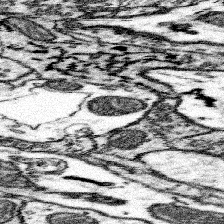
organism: Mouse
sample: Somatosensory cortex neuropil